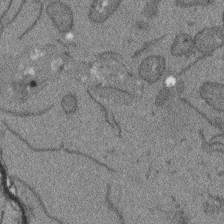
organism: Arabidopsis thaliana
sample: Root tip